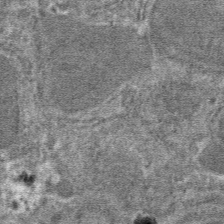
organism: Mouse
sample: Mouse hepatocytes